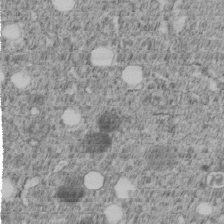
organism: C. elegans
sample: C. elegans embryo early stage